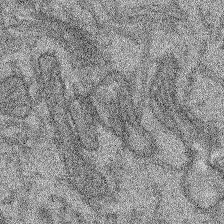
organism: Human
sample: HeLa cells